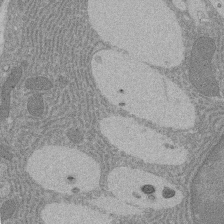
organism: Rat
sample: Salivary granule